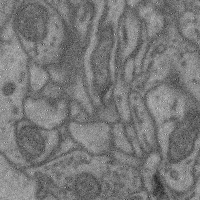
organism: Mouse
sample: Cerebral cortex